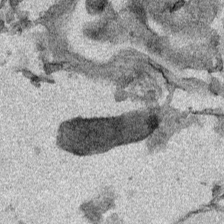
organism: Mouse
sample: Cancer cell death in ED-1 cells